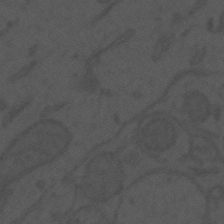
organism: Mouse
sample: Suprachiasmatic nucleus